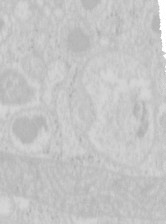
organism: Mouse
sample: Pancreas